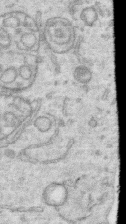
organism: Human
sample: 1205lu cells